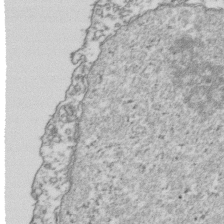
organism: Human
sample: Activated Jurkat CD4+ T cells